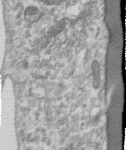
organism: Human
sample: Centriole in RPE cells